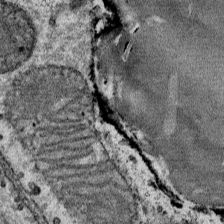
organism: Mouse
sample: Mouse Salivary gland